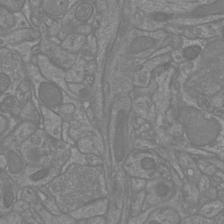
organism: Mouse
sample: Cortical neurons